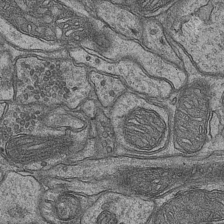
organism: Mouse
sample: CA1 Hippocampus